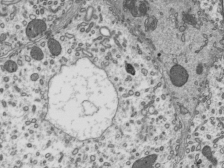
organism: Mouse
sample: Mouse epididymis efferent ductule cilia